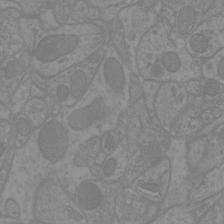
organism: Mouse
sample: Cortical neurons